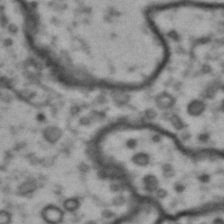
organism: Drosophila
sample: Brain